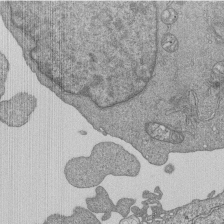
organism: Human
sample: MDA-MB-231 cells